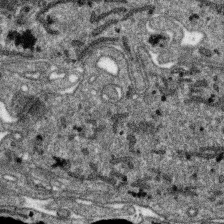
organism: Human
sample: Lung epithelial cells infected with SARS-CoV-2